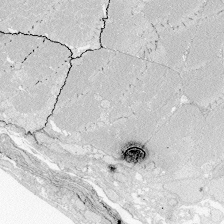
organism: Zebrafish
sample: Whole-Brain